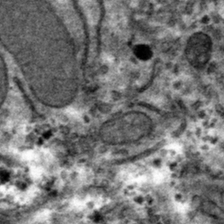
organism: Mouse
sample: Mouse hepatocytes